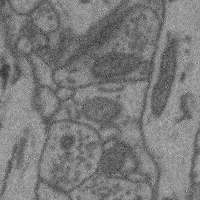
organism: Mouse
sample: Cerebral cortex